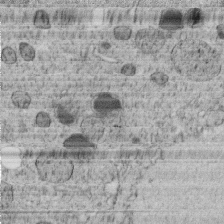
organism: C. elegans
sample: C. elegans embryo early stage